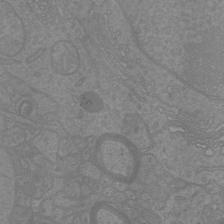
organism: Mouse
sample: Cortical neurons